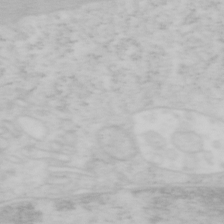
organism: Mouse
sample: OT-I killer T cells with ID8 ovarian cancer cells